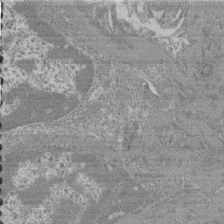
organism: Mouse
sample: Glomerulus